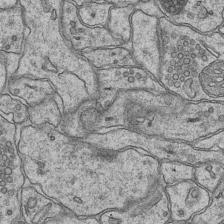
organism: Mouse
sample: CA1 Hippocampus